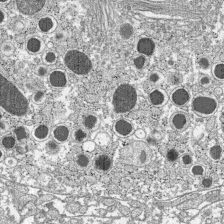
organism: C57BL Mouse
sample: Pancreatic islet